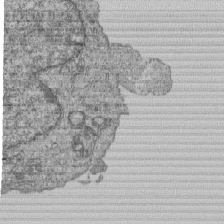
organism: Human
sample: MDA-MB-231 cells